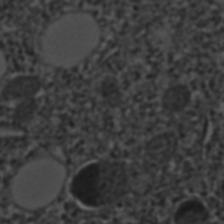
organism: C. elegans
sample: C. elegans embryo